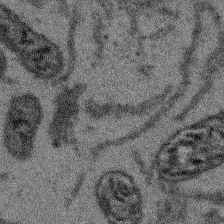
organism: Arabidopsis thaliana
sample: Root tip